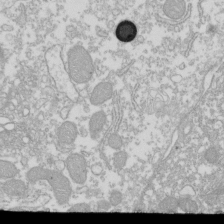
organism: Xenopus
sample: Cilia; centrioles in frog embryo cells